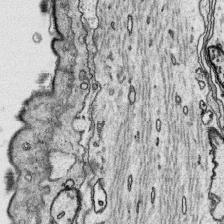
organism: Platynereis dumerilii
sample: Parapodia